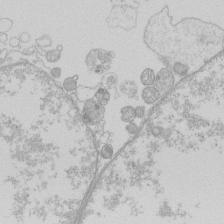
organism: Human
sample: Macrophage cells